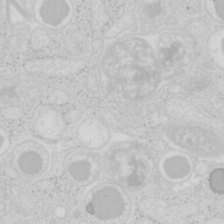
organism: Mouse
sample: Pancreas